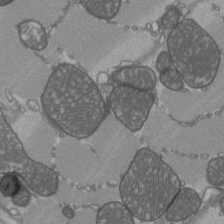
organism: C57BL Mouse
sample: Heart